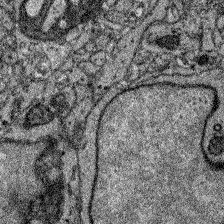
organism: Zebrafish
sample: Larval olfactory bulb